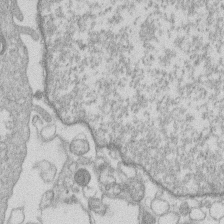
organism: Human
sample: Macrophage cells